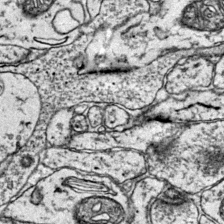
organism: Mouse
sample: Primary visual cortex